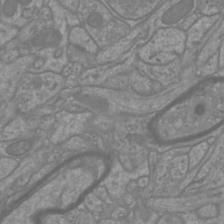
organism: Mouse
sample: Cortical neurons